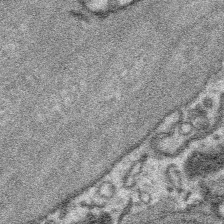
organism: Platynereis dumerilii